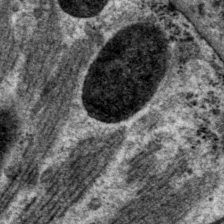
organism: P. pacificus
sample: Pharynx